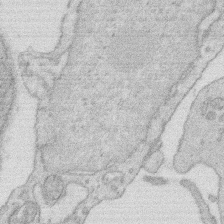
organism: Rat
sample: Salivary granule